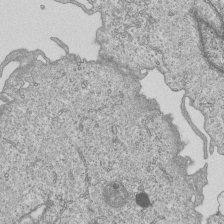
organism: Human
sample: MDA-MB-231 cells